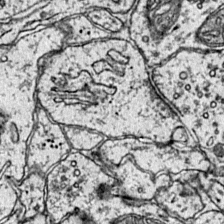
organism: Mouse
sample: Primary visual cortex